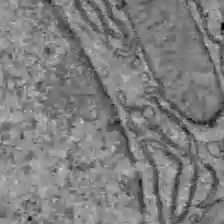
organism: C57BL Mouse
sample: Liver